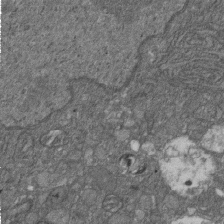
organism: Drosophila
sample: Nephrocyte